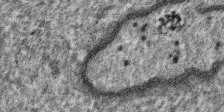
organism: Human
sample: Lung epithelial cells infected with SARS-CoV-2